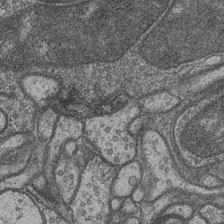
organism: Drosophila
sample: Optic medulla